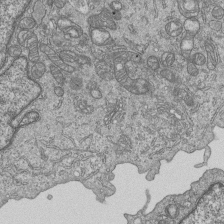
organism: Human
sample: MDA-MB-231 cells